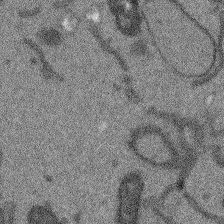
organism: Arabidopsis thaliana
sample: Root tip